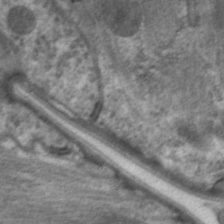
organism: C. elegans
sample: Pharynx